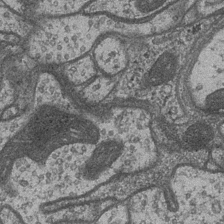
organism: Drosophila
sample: Optic medulla